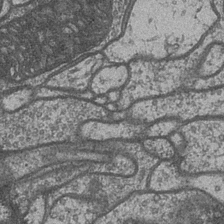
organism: Drosophila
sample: Optic medulla